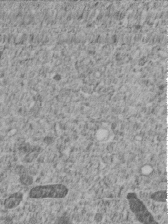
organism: C. elegans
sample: C. elegans embryo early stage